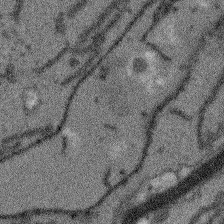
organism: Arabidopsis thaliana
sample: Root tip